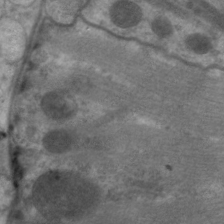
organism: C. elegans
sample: Pharynx